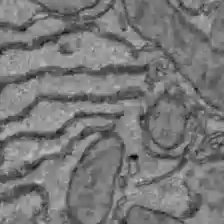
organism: C57BL Mouse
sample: Liver